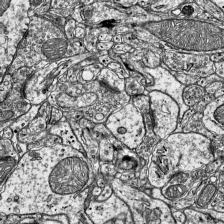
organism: Mouse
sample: Visual Cortex